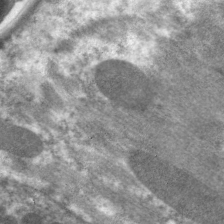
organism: C. elegans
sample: Pharynx